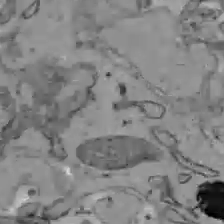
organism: C57BL Mouse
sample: Liver